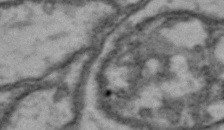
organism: Drosophila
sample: Brain